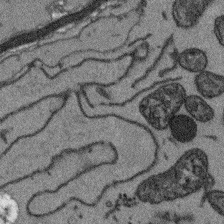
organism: Arabidopsis thaliana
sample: Root tip